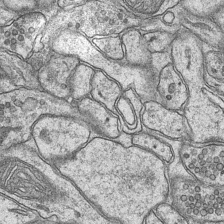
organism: Mouse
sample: CA1 Hippocampus